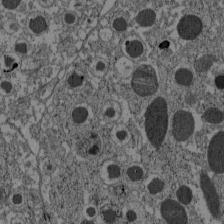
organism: C57BL Mouse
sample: Pancreatic islet